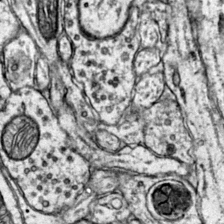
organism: Mouse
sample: Primary visual cortex